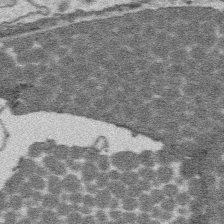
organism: Platynereis dumerilii